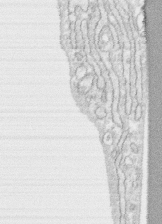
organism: Human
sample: CRL-1474